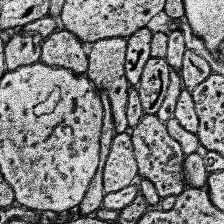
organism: Human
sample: Temporal Lobe